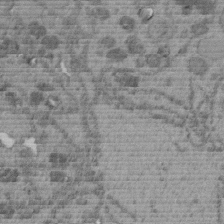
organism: C. elegans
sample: C. elegans embryo early stage